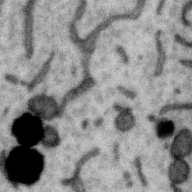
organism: Zebra finch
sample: Brain